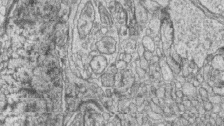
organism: Zebrafish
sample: synaptic ribbons in rod cells and cone cells